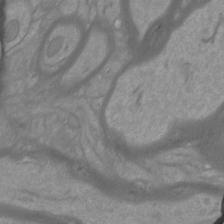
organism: Mouse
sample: Cortical neurons